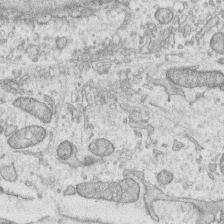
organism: Human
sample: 1205lu cells